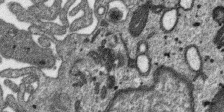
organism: Human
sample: Lung epithelial cells infected with SARS-CoV-2